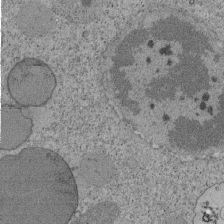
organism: Tetrahymena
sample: Cilia in tetrahymena